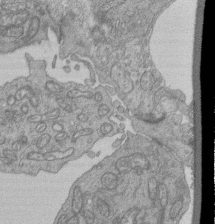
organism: Human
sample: Retinal organoid Rod and Cone cells